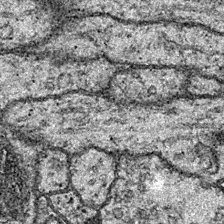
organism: Drosophila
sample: Ventral Nerve Cord